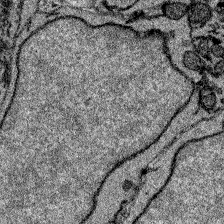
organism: Zebrafish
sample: Larval olfactory bulb